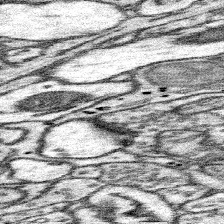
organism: Mouse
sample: Somatosensory cortex neuropil